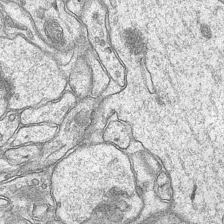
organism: Mouse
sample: CA1 Hippocampus